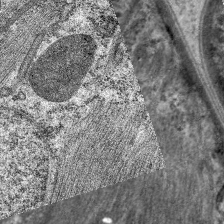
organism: C. elegans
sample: Pharynx